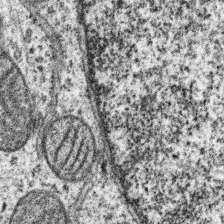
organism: Human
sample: HeLa cells